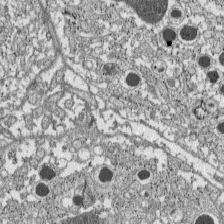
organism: C57BL Mouse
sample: Pancreatic islet